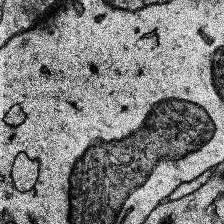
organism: Human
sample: Temporal Lobe